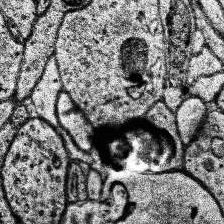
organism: Human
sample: Temporal Lobe